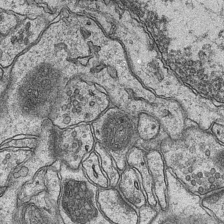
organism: Mouse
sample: CA1 Hippocampus